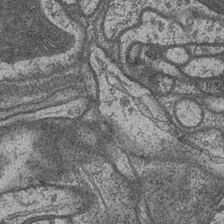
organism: Drosophila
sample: Optic medulla